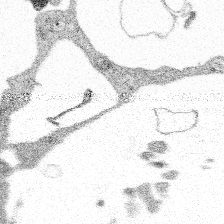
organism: Spongilla lacustris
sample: Multiple